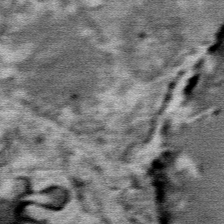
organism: Mouse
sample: Mouse Salivary gland